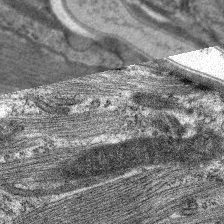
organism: C. elegans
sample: Pharynx